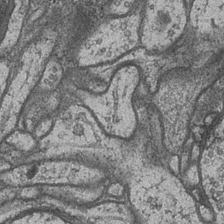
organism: Drosophila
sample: Optic medulla